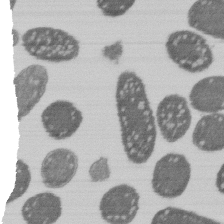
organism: E. coli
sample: Bacterial nucleoid